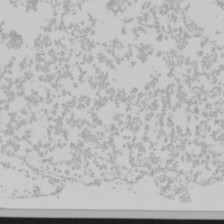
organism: Mouse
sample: Cancer cell death in ED-1 cells